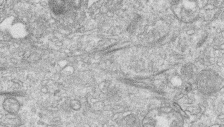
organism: Human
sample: HeLa cell HIV synapse